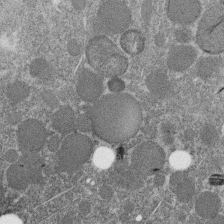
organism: C. elegans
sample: C. elegans embryo early stage